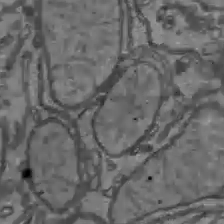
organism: C57BL Mouse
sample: Liver